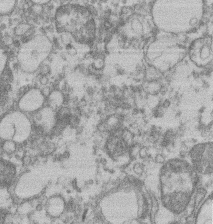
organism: Mouse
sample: T cell stromal cell synapse